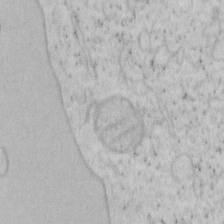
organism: Human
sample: HeLa cells